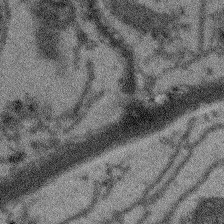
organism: Arabidopsis thaliana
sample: Root tip